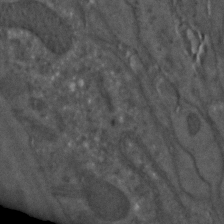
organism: C. elegans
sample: C. elegans embryo